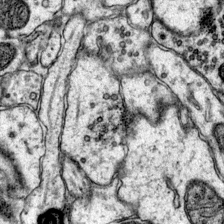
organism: Mouse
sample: Primary visual cortex